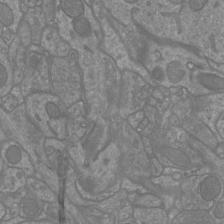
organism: Mouse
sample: Cortical neurons